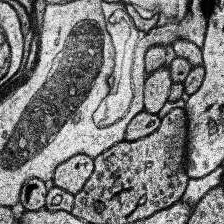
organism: Human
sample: Temporal Lobe